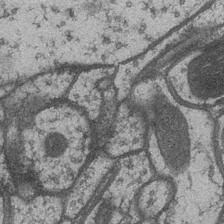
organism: Drosophila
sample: Optic medulla